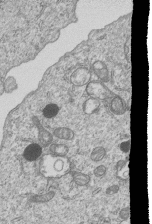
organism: Human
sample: MDA-MB-231 cells